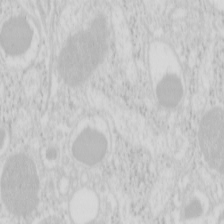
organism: Mouse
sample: Pancreas